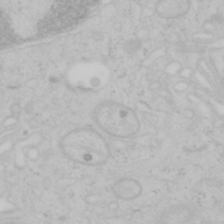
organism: Mouse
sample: OT-I killer T cells with ID8 ovarian cancer cells